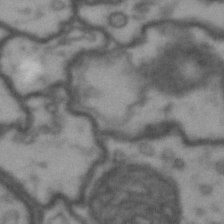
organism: Drosophila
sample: Brain